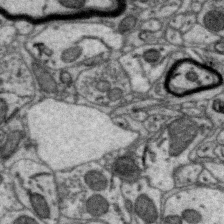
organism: Zebra finch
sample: Brain